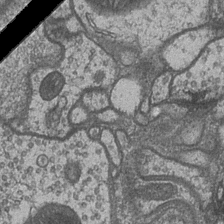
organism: Drosophila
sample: Optic medulla